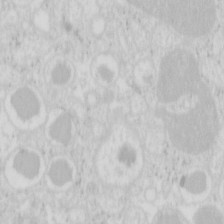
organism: Mouse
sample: Pancreas